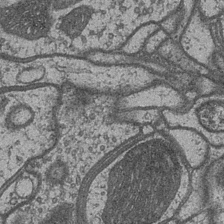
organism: Drosophila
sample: Optic medulla